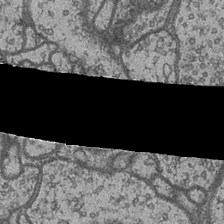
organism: Drosophila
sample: Optic medulla